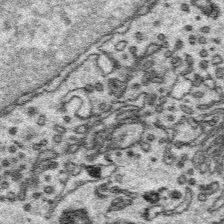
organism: Platynereis dumerilii